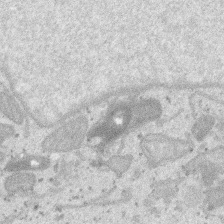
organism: Human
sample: Lung epithelial cells infected with SARS-CoV-2